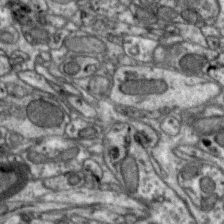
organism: Zebra finch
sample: Brain